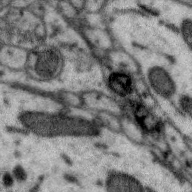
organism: Zebra finch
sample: Brain